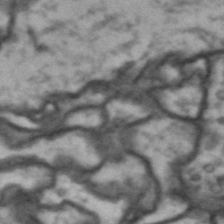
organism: Drosophila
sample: Brain